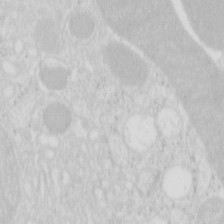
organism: Mouse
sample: Pancreas